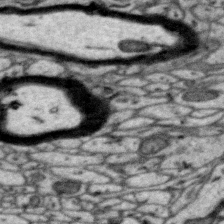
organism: Zebra finch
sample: Brain